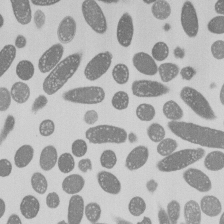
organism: E. coli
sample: Bacterial nucleoid